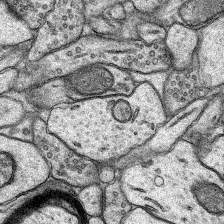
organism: Rat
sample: Hippocampus